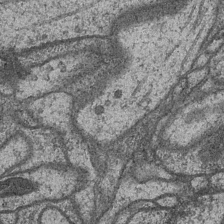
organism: Drosophila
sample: Optic medulla